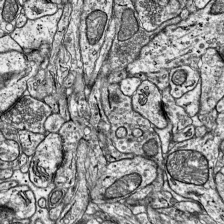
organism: Mouse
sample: Visual Cortex